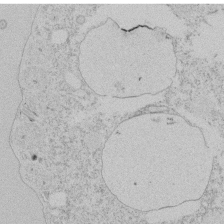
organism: Tetrahymena